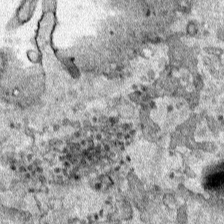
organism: Human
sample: Mitochondria in HCT116 cells